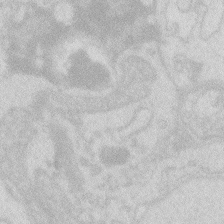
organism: Zebrafish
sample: Macrophage